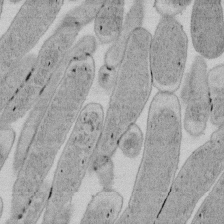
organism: E. coli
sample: Bacterial nucleoid